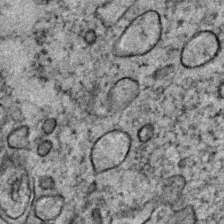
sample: Trachea